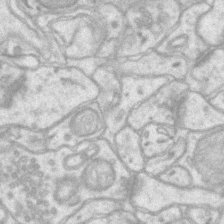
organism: Mouse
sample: CA1 Hippocampus